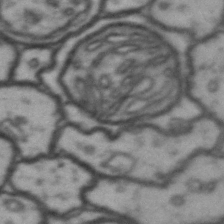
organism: Drosophila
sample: Brain